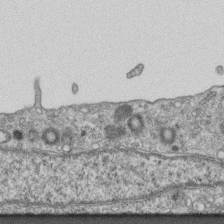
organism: Mouse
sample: Centriole in ependymal cells